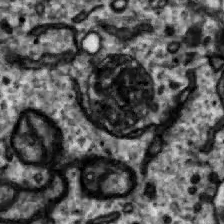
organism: Human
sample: HeLa cells